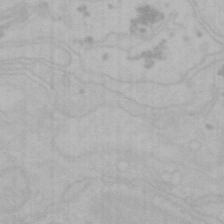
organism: Mouse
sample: Choroid plexus